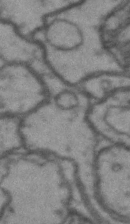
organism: Drosophila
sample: Brain